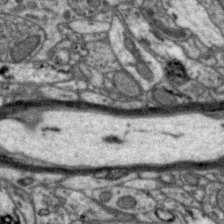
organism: Zebra finch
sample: Brain